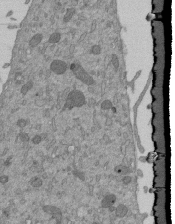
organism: Mouse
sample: ED-1 cell nuclei; centrioles